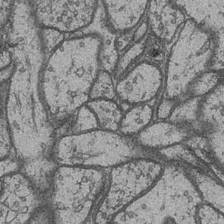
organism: Drosophila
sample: Optic medulla